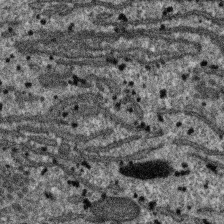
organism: Human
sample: Lung epithelial cells infected with SARS-CoV-2